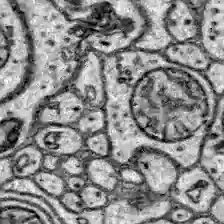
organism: Zebrafish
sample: Brain